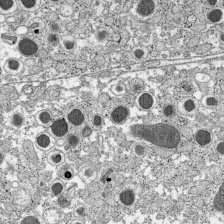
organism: C57BL Mouse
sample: Pancreatic islet